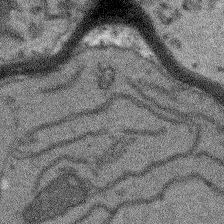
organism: Arabidopsis thaliana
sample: Root tip